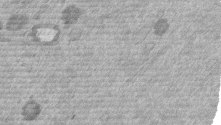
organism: Mouse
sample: Dividing mouse embryo 1 cell stage